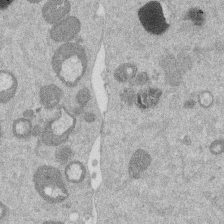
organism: Mouse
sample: Dividing mouse embryo 1 cell stage